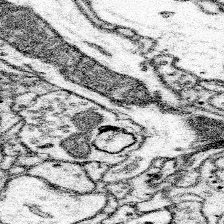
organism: Mouse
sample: Somatosensory cortex neuropil